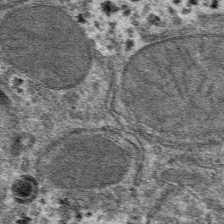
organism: Mouse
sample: Mouse hepatocytes